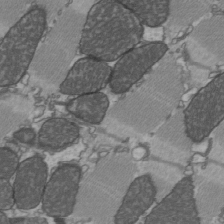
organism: C57BL Mouse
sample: Heart